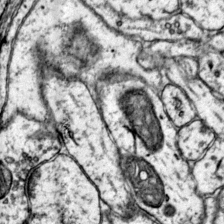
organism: Mouse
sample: Primary visual cortex